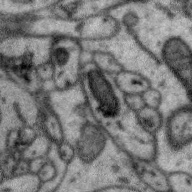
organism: Zebra finch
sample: Brain